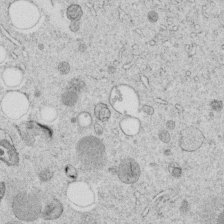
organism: C. elegans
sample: C. elegans embryo early stage